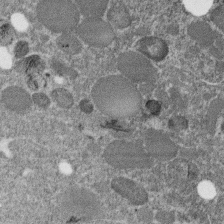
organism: C. elegans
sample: C. elegans embryo early stage